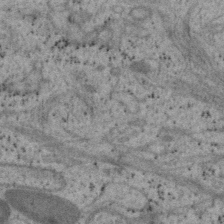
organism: Human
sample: HeLa cells